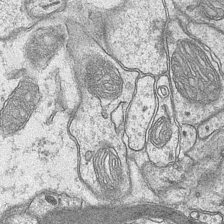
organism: Mouse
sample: CA1 Hippocampus